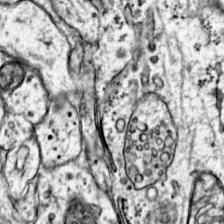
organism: Mouse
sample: Primary visual cortex